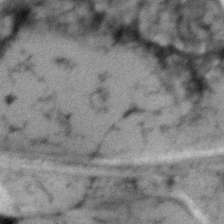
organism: Human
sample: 1205lu cells